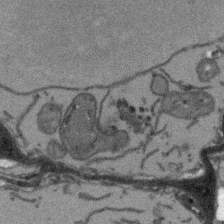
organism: Arabidopsis thaliana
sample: Root tip